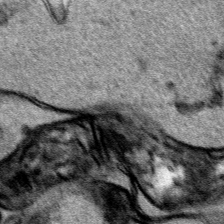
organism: Human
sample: Mitochondria in HCT116 cells